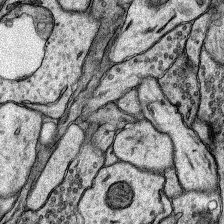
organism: Rat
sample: Hippocampus